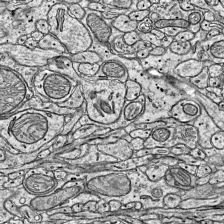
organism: Mouse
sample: Visual Cortex